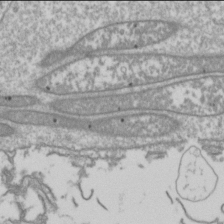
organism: Drosophila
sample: Cell division; meiosis; drosophila spermatocytes